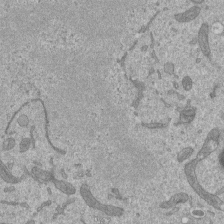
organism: Mouse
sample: ED-1 cell nuclei; centrioles